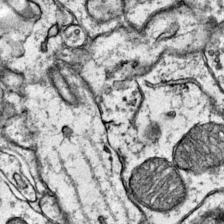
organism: Mouse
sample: Primary visual cortex